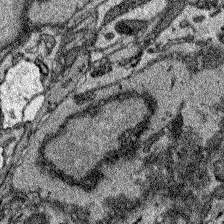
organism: Zebrafish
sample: Larval olfactory bulb